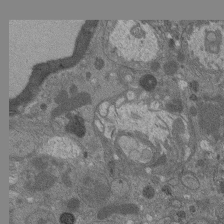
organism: Drosophila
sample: Antenna